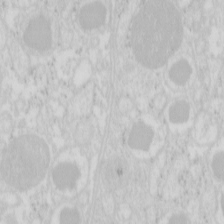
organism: Mouse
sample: Pancreas